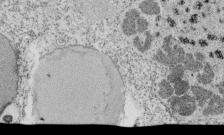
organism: Tetrahymena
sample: Cilia in tetrahymena